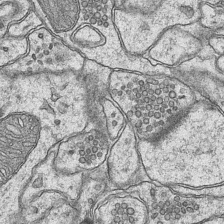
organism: Mouse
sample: CA1 Hippocampus